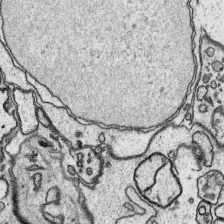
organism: Platynereis dumerilii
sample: Parapodia